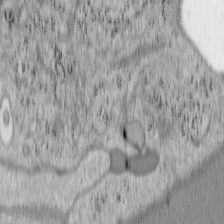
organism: Human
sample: HeLa cells